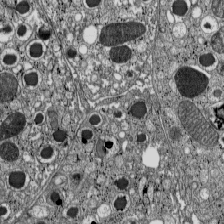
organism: C57BL Mouse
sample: Pancreatic islet